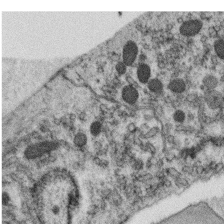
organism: C. elegans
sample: C. elegans oocyte; sperm cells